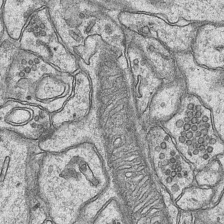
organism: Mouse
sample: CA1 Hippocampus